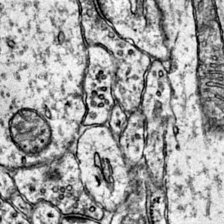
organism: Mouse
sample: Primary visual cortex